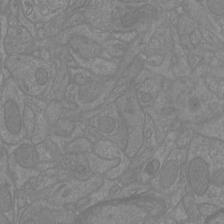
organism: Mouse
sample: Cortical neurons